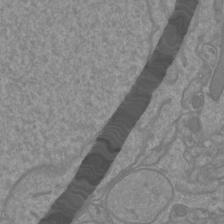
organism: Mouse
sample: Cortical neurons